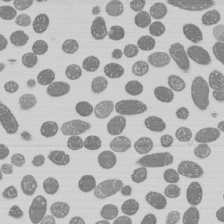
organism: E. coli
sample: Bacterial nucleoid